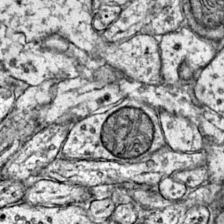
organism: Mouse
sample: Primary visual cortex